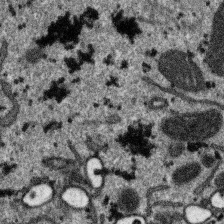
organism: Human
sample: Lung epithelial cells infected with SARS-CoV-2